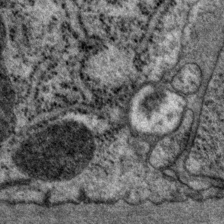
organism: P. pacificus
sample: Pharynx